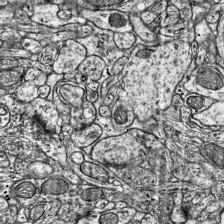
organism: Mouse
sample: Visual Cortex